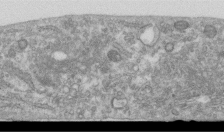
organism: Human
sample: Centriole in RPE cells